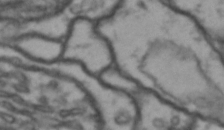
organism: Drosophila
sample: Brain